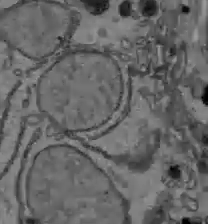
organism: C57BL Mouse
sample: Liver